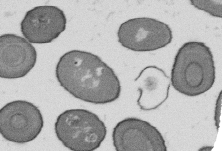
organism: B. subtilis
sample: Bacterial spore